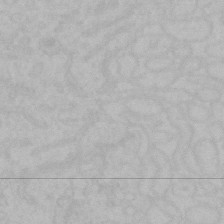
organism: Mouse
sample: Choroid plexus